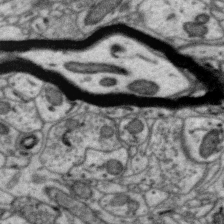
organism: Zebra finch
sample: Brain